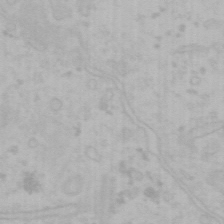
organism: Mouse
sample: Choroid plexus